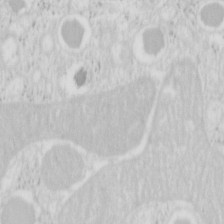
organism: Mouse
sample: Pancreas